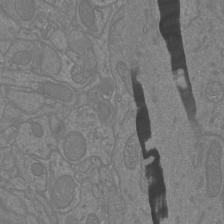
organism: Mouse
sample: Cortical neurons